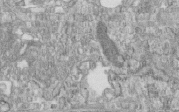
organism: Human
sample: Centriole in fibroblast cells